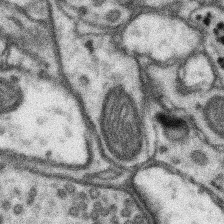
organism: Mouse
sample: Somatosensory cortex neuropil